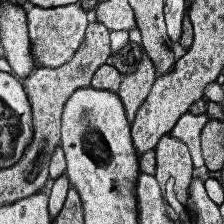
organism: Human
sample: Temporal Lobe